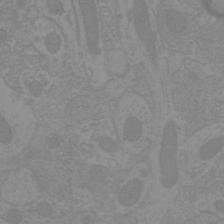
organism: Mouse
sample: Cortical neurons